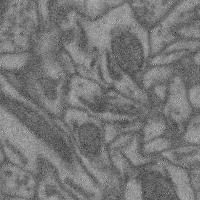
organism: Mouse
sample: Cerebral cortex